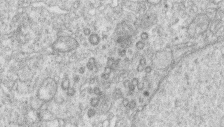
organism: Human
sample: HeLa cell HIV synapse